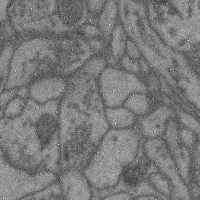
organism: Mouse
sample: Cerebral cortex